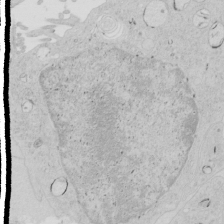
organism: Human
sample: Mitochondria in HCT116 cells